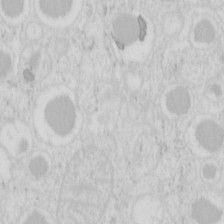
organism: Mouse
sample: Pancreas